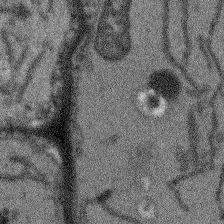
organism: Arabidopsis thaliana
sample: Root tip